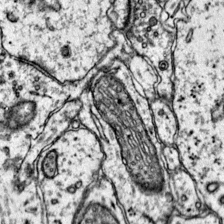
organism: Mouse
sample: Primary visual cortex